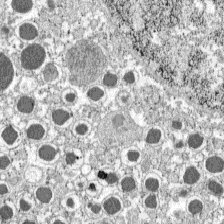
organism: C57BL Mouse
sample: Pancreatic islet